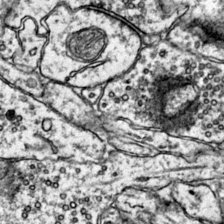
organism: Mouse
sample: Primary visual cortex